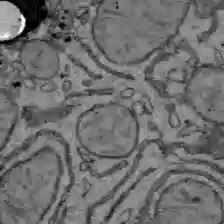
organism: C57BL Mouse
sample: Liver